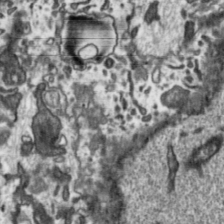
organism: Toxoplasma gondii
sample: Parasites in a vacuole inside a host cell